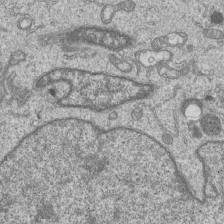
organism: Human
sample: MDA-MB-231 cells